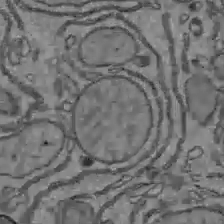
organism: C57BL Mouse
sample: Liver